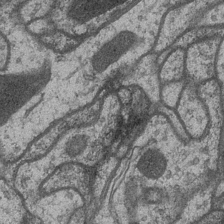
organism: Drosophila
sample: Optic medulla